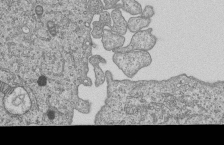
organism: Human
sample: MDA-MB-231 cells